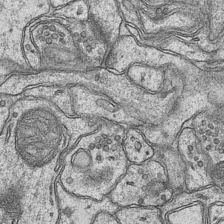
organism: Mouse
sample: CA1 Hippocampus